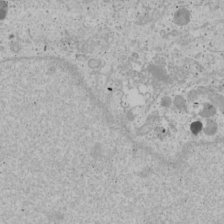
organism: Human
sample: Mitochondria in U2OS cells